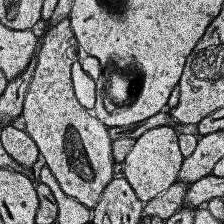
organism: Human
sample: Temporal Lobe